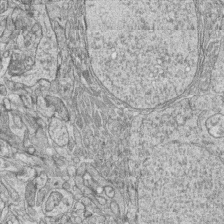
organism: Zebrafish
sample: synaptic ribbons in rod cells and cone cells